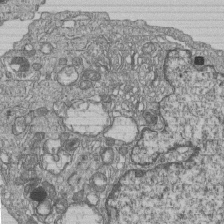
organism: Human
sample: MDA-MB-231 cells